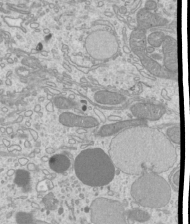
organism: Mouse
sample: Cilia; mouse epididymis